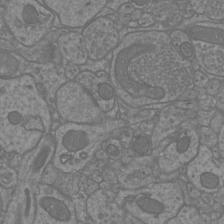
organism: Mouse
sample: Cortical neurons